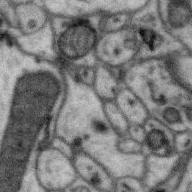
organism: Zebra finch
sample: Brain